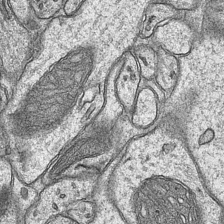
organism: Mouse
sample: CA1 Hippocampus